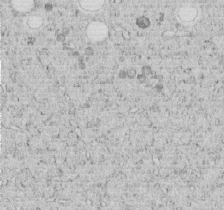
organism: C. elegans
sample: C. elegans embryo early stage